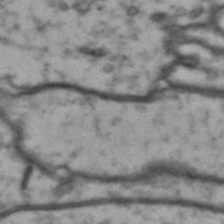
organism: Drosophila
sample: Brain